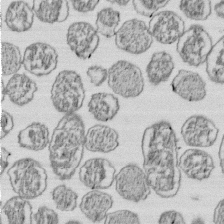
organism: E. coli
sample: Bacterial nucleoid